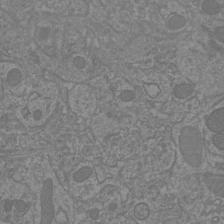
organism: Mouse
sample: Cortical neurons